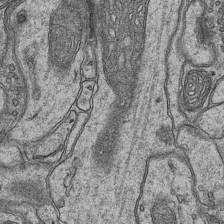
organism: Mouse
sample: CA1 Hippocampus